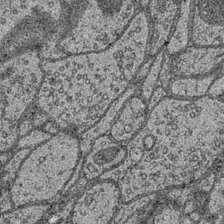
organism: Drosophila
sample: Optic medulla